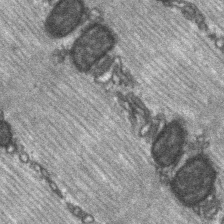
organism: C57BL Mouse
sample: Soleus